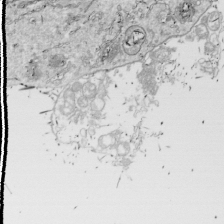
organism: Drosophila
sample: Cell division; meiosis; drosophila spermatocytes